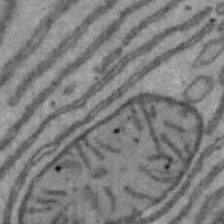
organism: Mouse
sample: Liver